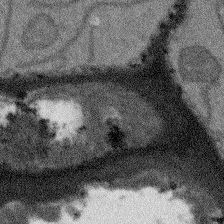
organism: Arabidopsis thaliana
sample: Root tip